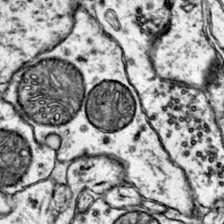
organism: Mouse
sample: Primary visual cortex